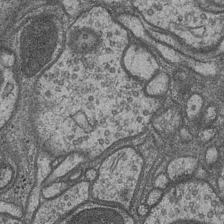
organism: Drosophila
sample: Optic medulla